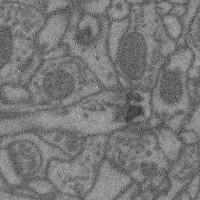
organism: Mouse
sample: Cerebral cortex